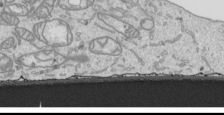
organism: Human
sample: Mitochondria in HCT116 cells